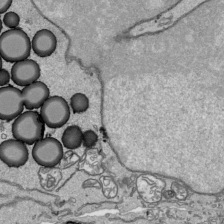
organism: Human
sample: Mitochondria in HCT116 cells